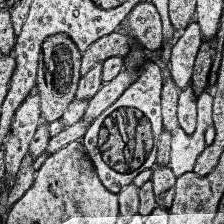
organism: Human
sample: Temporal Lobe